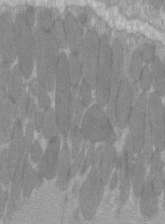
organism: C57BL Mouse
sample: Tibialis anterior muscle cell